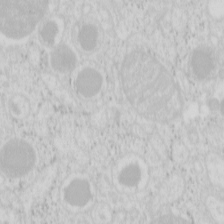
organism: Mouse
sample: Pancreas